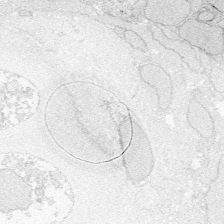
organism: Zebrafish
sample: Whole-Brain